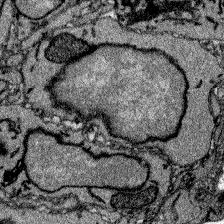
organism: Zebrafish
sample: Larval olfactory bulb